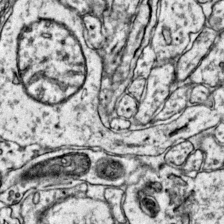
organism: Mouse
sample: Primary visual cortex